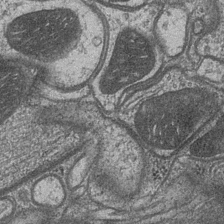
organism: Drosophila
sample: Optic medulla